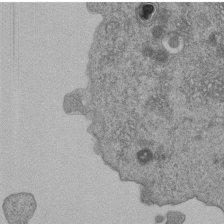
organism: Human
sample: MDA-MB-231 cells